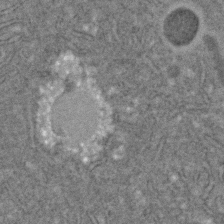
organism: C. elegans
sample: C. elegans embryo